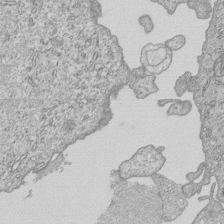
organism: Human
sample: MDA-MB-231 cells